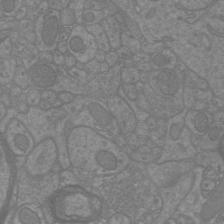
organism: Mouse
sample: Cortical neurons